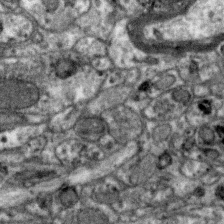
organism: Zebra finch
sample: Brain